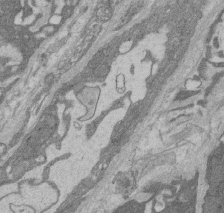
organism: Rat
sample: Salivary granule